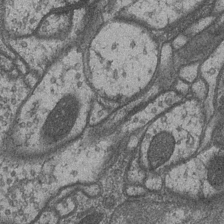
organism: Drosophila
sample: Optic medulla